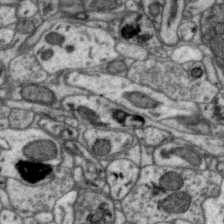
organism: Zebra finch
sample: Brain